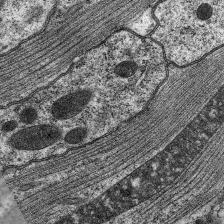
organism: C. elegans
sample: Pharynx